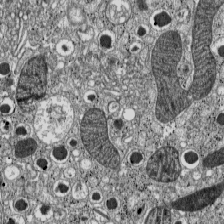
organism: C57BL Mouse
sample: Pancreatic islet